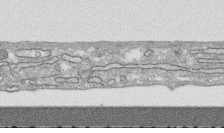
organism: Human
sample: CRL-1474